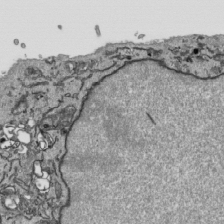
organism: Human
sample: Mitochondria in HCT116 cells